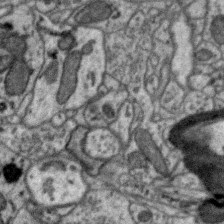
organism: Zebra finch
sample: Brain